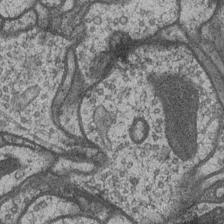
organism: Drosophila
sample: Optic medulla